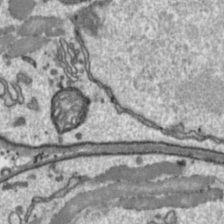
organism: Toxoplasma gondii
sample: Parasites in a vacuole inside a host cell